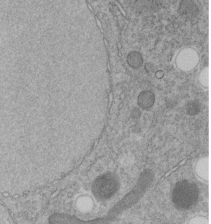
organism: C. elegans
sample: C. elegans embryo early stage